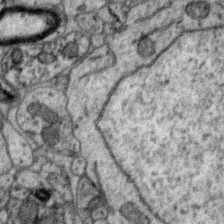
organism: Zebra finch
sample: Brain